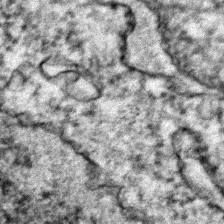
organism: Zebrafish